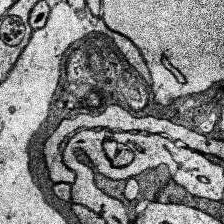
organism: Human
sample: Temporal Lobe